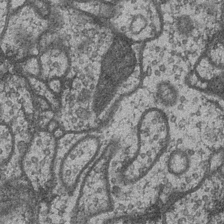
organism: Drosophila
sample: Optic medulla